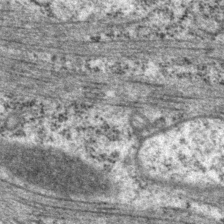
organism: P. pacificus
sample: Pharynx